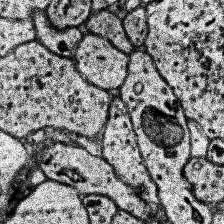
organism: Human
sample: Temporal Lobe